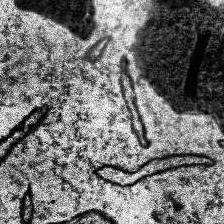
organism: Human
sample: Temporal Lobe